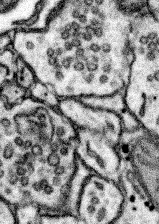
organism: Mouse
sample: Somatosensory cortex neuropil